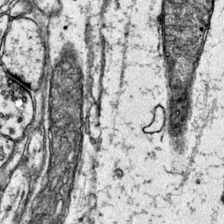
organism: Mouse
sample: Primary visual cortex